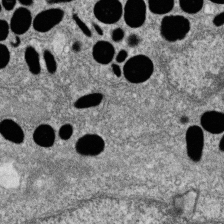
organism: Zebrafish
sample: Cilia; retinal pigment epithelium